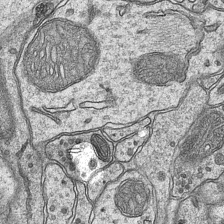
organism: Mouse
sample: CA1 Hippocampus